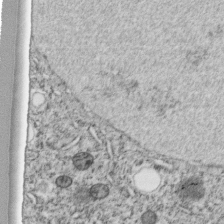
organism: C. elegans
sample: C. elegans embryo early stage